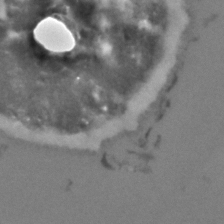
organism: C. elegans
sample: C. elegans embryo